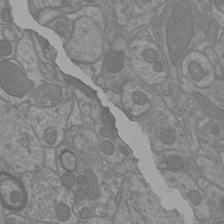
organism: Mouse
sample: Cortical neurons